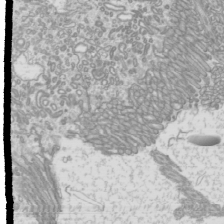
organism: Mouse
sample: Cilia; mouse epididymis